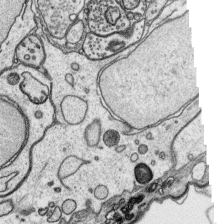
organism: Platynereis dumerilii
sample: Parapodia